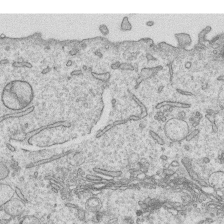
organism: Human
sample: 1205lu cells